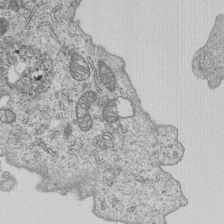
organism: Human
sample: MDA-MB-231 cells